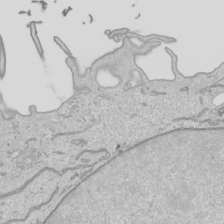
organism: Human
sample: Mitochondria in HCT116 cells